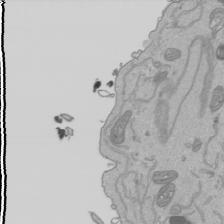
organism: Human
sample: Mitochondria in HCT116 cells